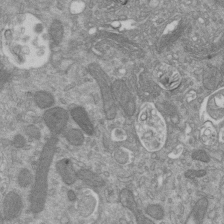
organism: Mouse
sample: ED-1 cell nuclei; centrioles